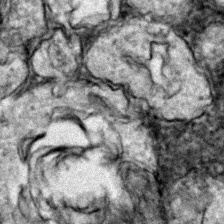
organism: Zebrafish